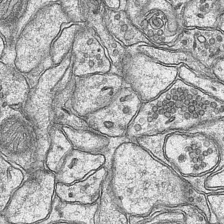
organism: Mouse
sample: CA1 Hippocampus